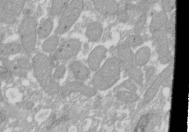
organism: Xenopus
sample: Cilia; centrioles in frog embryo cells